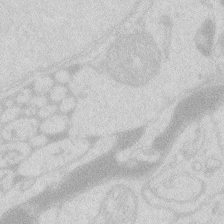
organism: Zebrafish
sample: Macrophage